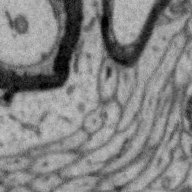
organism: Zebra finch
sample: Brain